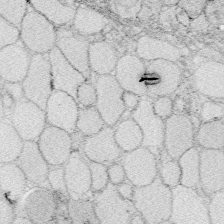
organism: Zebrafish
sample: Whole-Brain